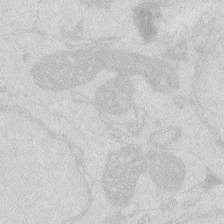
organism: Zebrafish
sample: Macrophage